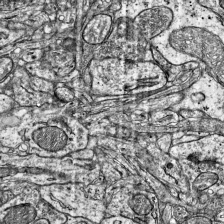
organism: Mouse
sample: Visual Cortex